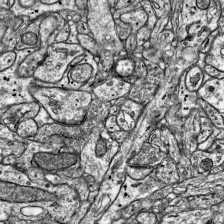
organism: Mouse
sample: Visual Cortex